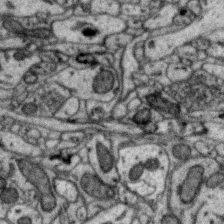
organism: Zebra finch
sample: Brain